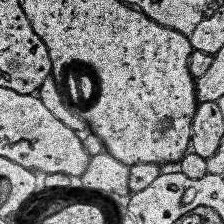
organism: Human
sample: Temporal Lobe